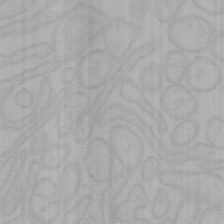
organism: Mouse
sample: Choroid plexus